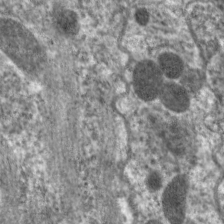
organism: C. elegans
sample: Pharynx